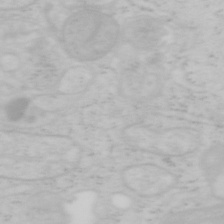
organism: Mouse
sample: OT-I killer T cells with ID8 ovarian cancer cells